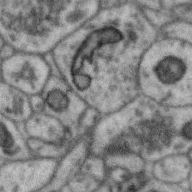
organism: Zebra finch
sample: Brain